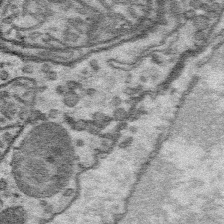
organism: Platynereis dumerilii